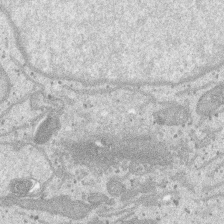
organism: Human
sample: Lung epithelial cells infected with SARS-CoV-2